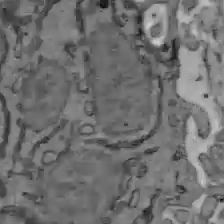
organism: C57BL Mouse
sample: Liver